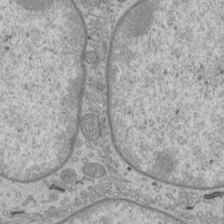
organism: Mouse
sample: Cilia; mouse epididymis